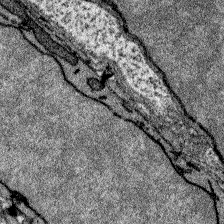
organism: Zebrafish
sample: Larval olfactory bulb